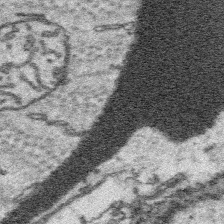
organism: Platynereis dumerilii